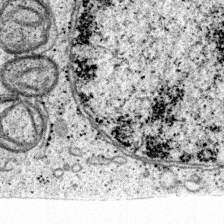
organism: Human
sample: HeLa cells